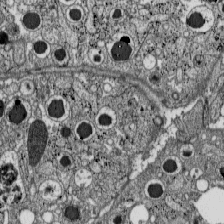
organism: C57BL Mouse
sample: Pancreatic islet